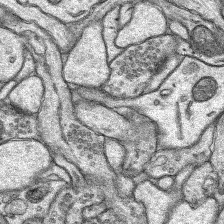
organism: Rat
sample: Hippocampus